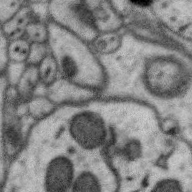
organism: Zebra finch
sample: Brain